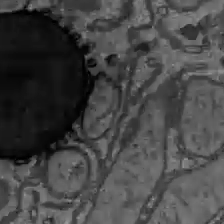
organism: C57BL Mouse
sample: Liver